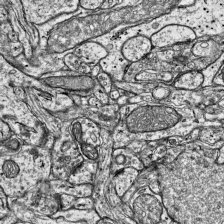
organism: Mouse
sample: Visual Cortex